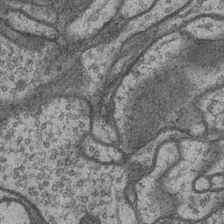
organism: Drosophila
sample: Optic medulla